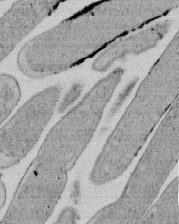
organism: E. coli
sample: Bacterial nucleoid